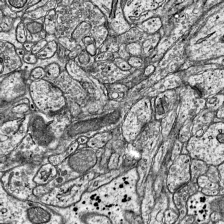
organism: Mouse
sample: Visual Cortex